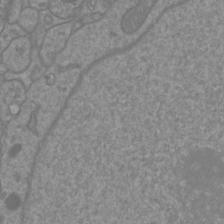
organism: Mouse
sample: Cortical neurons